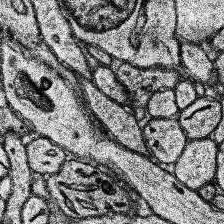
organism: Human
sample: Temporal Lobe